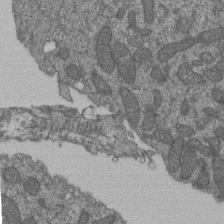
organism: Human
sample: Retinal organoid Rod and Cone cells